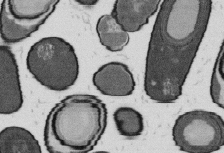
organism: B. subtilis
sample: Bacterial spore